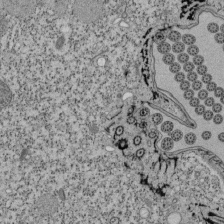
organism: Tetrahymena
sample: Cilia in tetrahymena